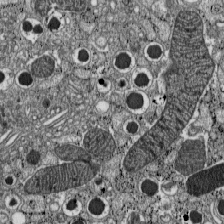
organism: C57BL Mouse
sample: Pancreatic islet